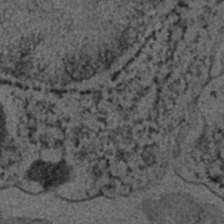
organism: C. elegans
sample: C. elegans embryo